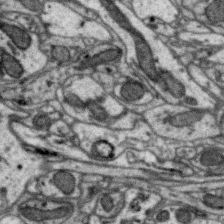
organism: Zebra finch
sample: Brain